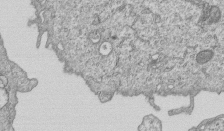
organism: Human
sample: MDA-MB-231 cells